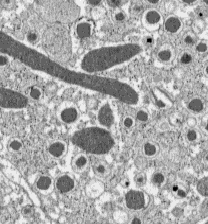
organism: C57BL Mouse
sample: Pancreatic islet